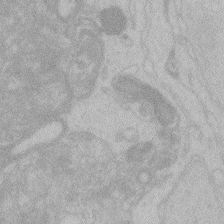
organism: Zebrafish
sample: Macrophage infected with Toxoplasma gondii